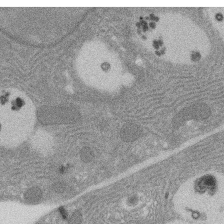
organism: Rat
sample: Salivary granule